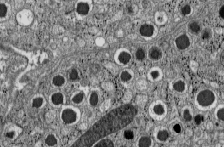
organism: C57BL Mouse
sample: Pancreatic islet